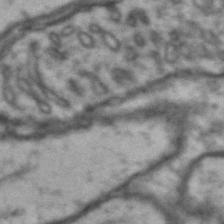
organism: Drosophila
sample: Brain